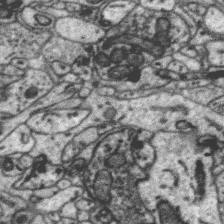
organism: Zebra finch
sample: Brain